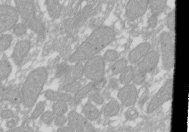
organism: Xenopus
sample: Cilia; centrioles in frog embryo cells